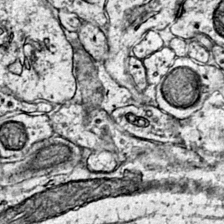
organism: Mouse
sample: Primary visual cortex